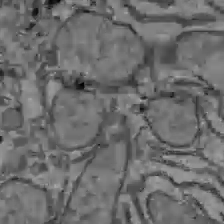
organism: C57BL Mouse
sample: Liver